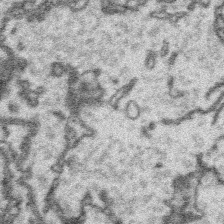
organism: Platynereis dumerilii